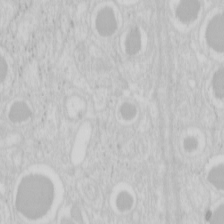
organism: Mouse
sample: Pancreas